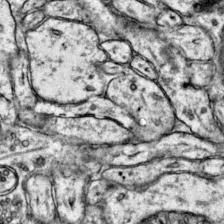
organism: Mouse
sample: Primary visual cortex